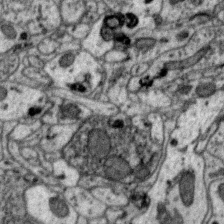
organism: Zebra finch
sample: Brain